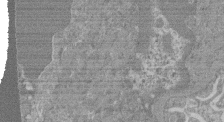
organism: Mouse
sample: Glomerulus